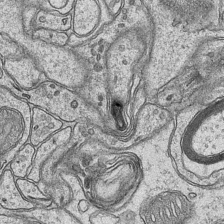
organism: Mouse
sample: CA1 Hippocampus